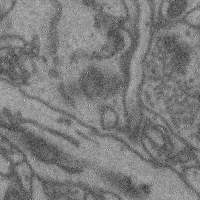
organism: Mouse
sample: Cerebral cortex